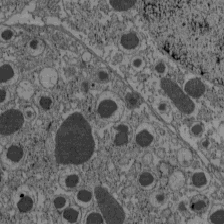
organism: C57BL Mouse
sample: Pancreatic islet